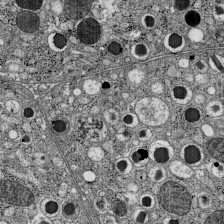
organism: C57BL Mouse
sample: Pancreatic islet